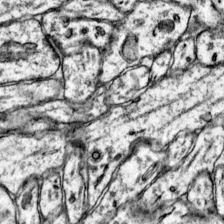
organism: Mouse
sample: Primary visual cortex